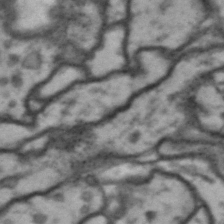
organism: Drosophila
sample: Brain